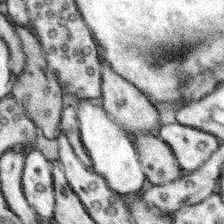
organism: Mouse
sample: Somatosensory cortex neuropil